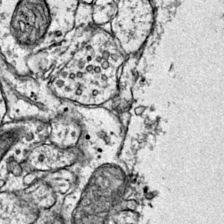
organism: Mouse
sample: Primary visual cortex